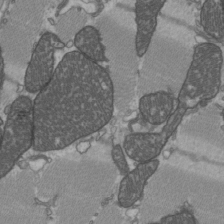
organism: C57BL Mouse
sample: Heart